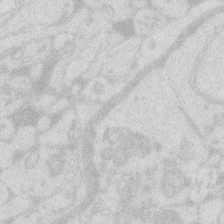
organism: Zebrafish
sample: Macrophage